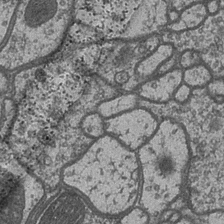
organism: Drosophila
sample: Optic medulla